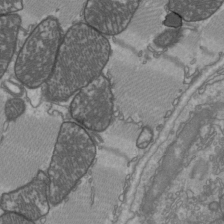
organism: C57BL Mouse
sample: Heart